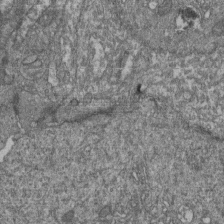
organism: Human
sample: Retinal organoid Rod and Cone cells